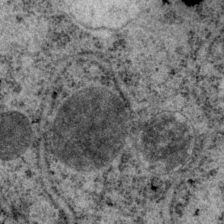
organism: P. pacificus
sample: Pharynx